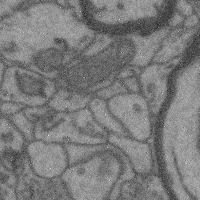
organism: Mouse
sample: Cerebral cortex